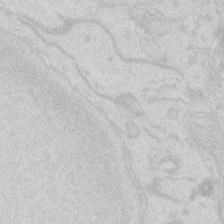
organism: Zebrafish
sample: Macrophage